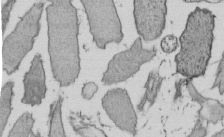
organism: E. coli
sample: Bacterial nucleoid